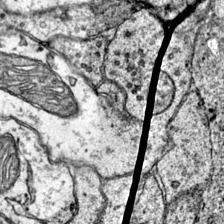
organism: Mouse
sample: Primary visual cortex